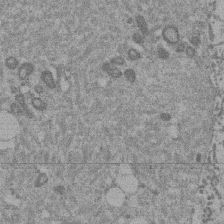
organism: Mouse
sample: Dividing mouse embryo 1 cell stage